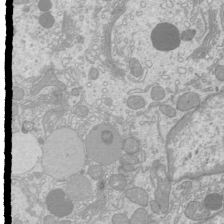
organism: Mouse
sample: Cilia; mouse epididymis